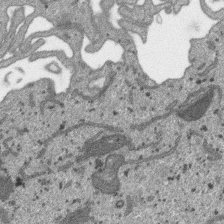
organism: Human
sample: Lung epithelial cells infected with SARS-CoV-2